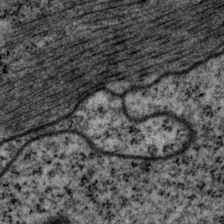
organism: P. pacificus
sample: Pharynx